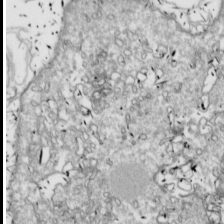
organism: Drosophila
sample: Cell division; meiosis; drosophila spermatocytes